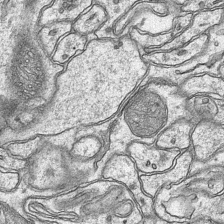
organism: Mouse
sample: CA1 Hippocampus